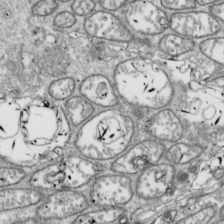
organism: Drosophila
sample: Cell division; meiosis; drosophila spermatocytes